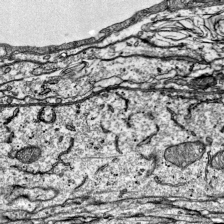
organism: Mouse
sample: Visual Cortex